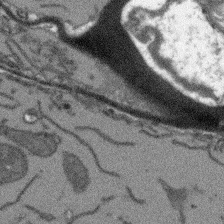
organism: Arabidopsis thaliana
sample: Root tip